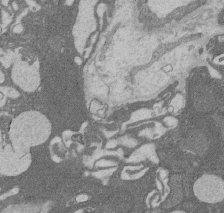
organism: Rat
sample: Salivary granule